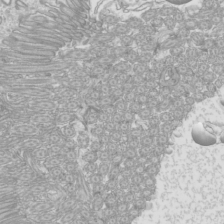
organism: Mouse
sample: Cilia; mouse epididymis